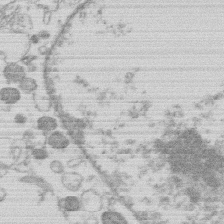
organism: Human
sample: Macrophage cells